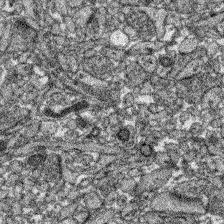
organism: Zebrafish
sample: Larval olfactory bulb